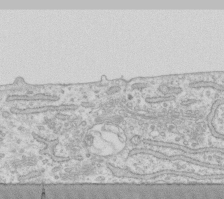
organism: Human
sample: Fibroblast cells